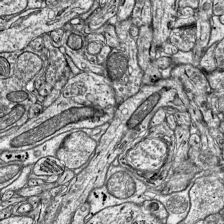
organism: Mouse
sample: Visual Cortex